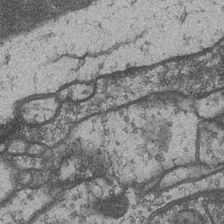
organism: Drosophila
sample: Optic medulla